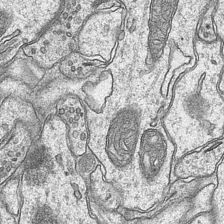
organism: Mouse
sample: CA1 Hippocampus